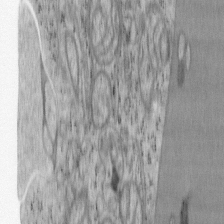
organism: Human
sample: HeLa cells